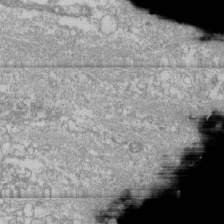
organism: Human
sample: CRL-1474